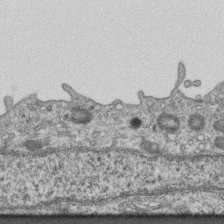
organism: Mouse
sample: Centriole in ependymal cells